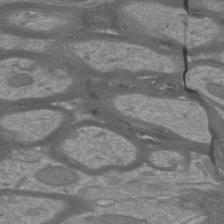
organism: Mouse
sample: Cortical neurons